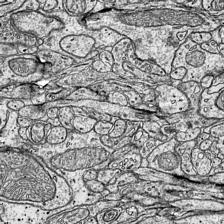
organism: Mouse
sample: Visual Cortex